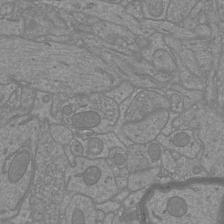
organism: Mouse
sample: Cortical neurons